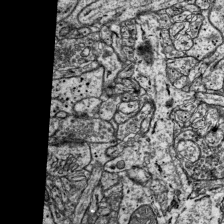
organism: Mouse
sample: Visual Cortex